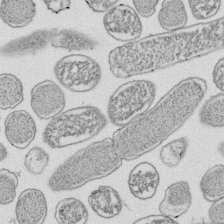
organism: E. coli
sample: Bacterial nucleoid